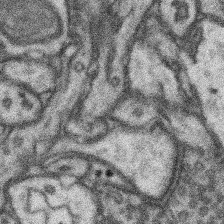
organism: Mouse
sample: Somatosensory cortex neuropil